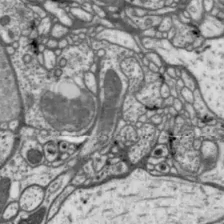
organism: Drosophila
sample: Protocerebral bridge